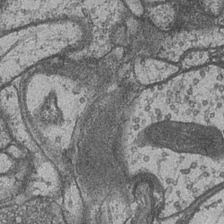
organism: Drosophila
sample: Optic medulla